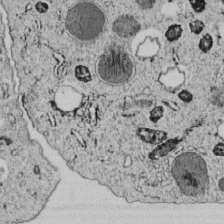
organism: C. elegans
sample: C. elegans embryo early stage